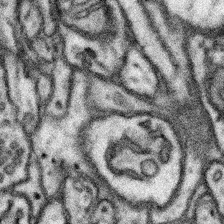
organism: Mouse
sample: Somatosensory cortex neuropil